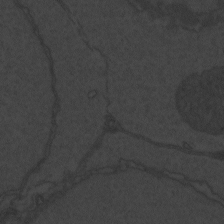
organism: Zebrafish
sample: Macrophage infected with Toxoplasma gondii